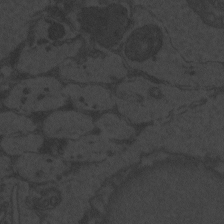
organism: Zebrafish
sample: Macrophage infected with Toxoplasma gondii